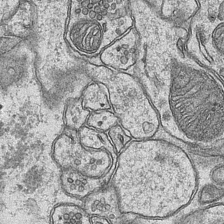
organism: Mouse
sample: CA1 Hippocampus